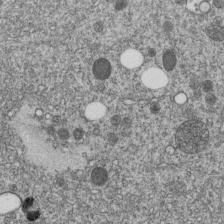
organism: C. elegans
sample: C. elegans embryo early stage